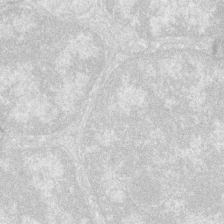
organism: Zebrafish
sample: Cilia; retinal pigment epithelium